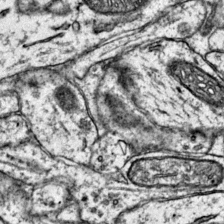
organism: Mouse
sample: Primary visual cortex